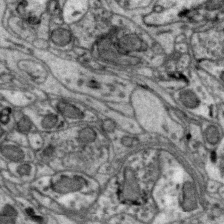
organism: Zebra finch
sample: Brain